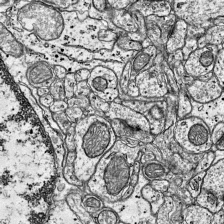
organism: Mouse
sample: Visual Cortex